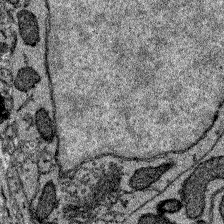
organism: Zebrafish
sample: Larval olfactory bulb